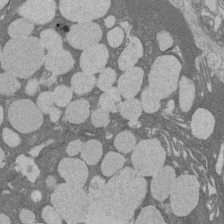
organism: Rat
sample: Salivary granule